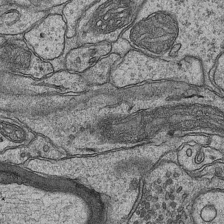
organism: Mouse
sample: CA1 Hippocampus